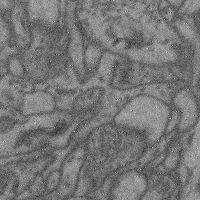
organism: Mouse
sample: Cerebral cortex